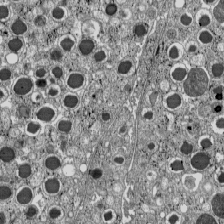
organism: C57BL Mouse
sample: Pancreatic islet